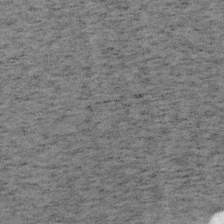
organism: Mouse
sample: OT-I killer T cells with ID8 ovarian cancer cells